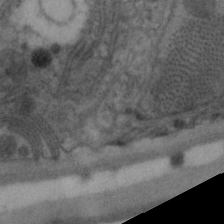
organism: C. elegans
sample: Pharynx